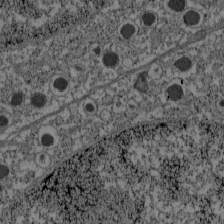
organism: C57BL Mouse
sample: Pancreatic islet